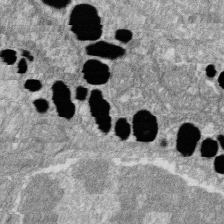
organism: Zebrafish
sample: Cilia; retinal pigment epithelium